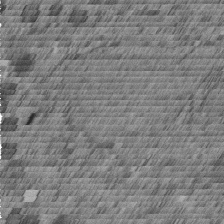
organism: C. elegans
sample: C. elegans embryo early stage